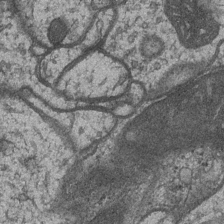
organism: Drosophila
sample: Optic medulla